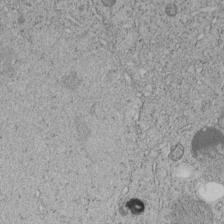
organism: C. elegans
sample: C. elegans embryo early stage